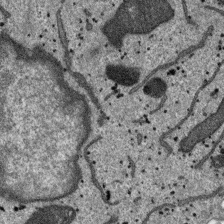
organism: Human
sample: Lung epithelial cells, uninfected (mock) control